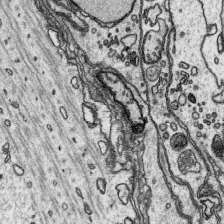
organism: Platynereis dumerilii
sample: Parapodia